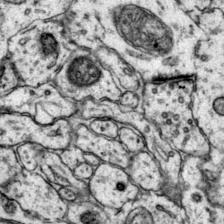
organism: Mouse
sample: Primary visual cortex